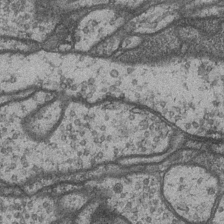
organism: Drosophila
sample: Optic medulla